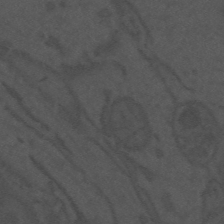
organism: Mouse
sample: Suprachiasmatic nucleus